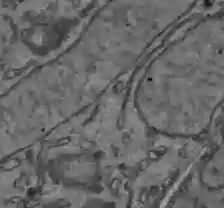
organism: C57BL Mouse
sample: Liver